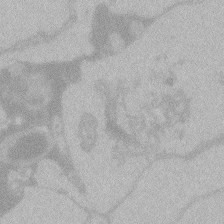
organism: Zebrafish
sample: Macrophage infected with Toxoplasma gondii